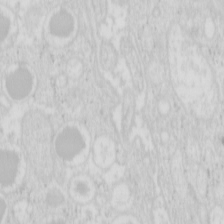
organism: Mouse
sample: Pancreas